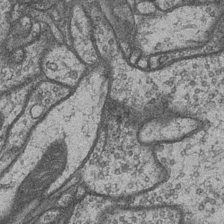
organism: Drosophila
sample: Optic medulla